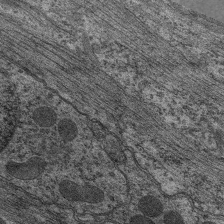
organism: C. elegans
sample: Pharynx